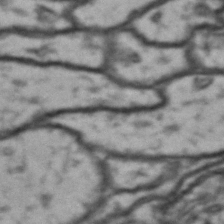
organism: Drosophila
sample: Brain